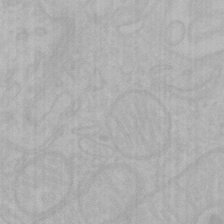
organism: Mouse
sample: Choroid plexus